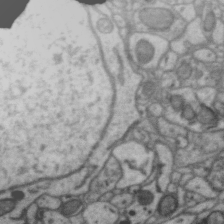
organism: Zebra finch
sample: Brain